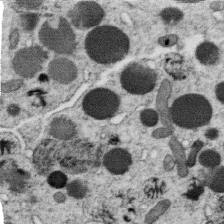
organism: C. elegans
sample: C. elegans oocyte; sperm cells